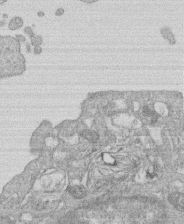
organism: Human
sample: Macrophage cells